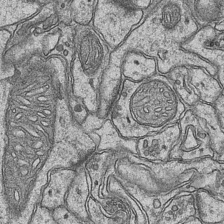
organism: Mouse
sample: CA1 Hippocampus